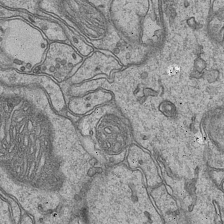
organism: Mouse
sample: CA1 Hippocampus